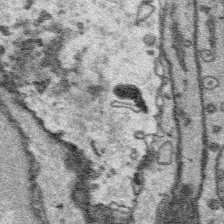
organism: Platynereis dumerilii